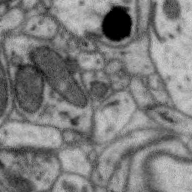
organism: Zebra finch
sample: Brain